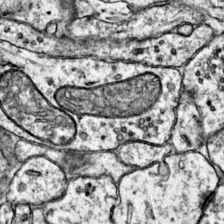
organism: Mouse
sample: Primary visual cortex